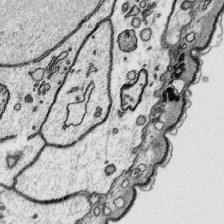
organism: Platynereis dumerilii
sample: Parapodia